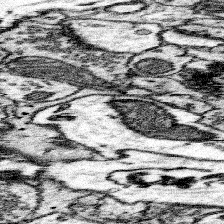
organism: Mouse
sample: Somatosensory cortex neuropil